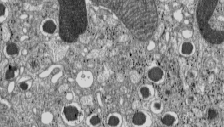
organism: C57BL Mouse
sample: Pancreatic islet